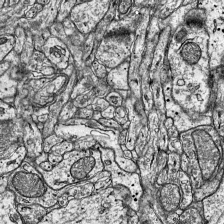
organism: Mouse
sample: Visual Cortex